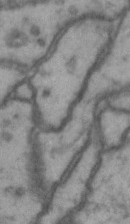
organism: Drosophila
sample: Brain